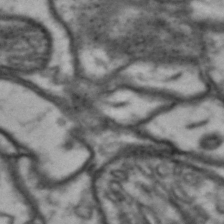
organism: Drosophila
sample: Brain